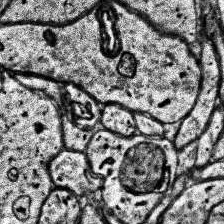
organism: Human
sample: Temporal Lobe